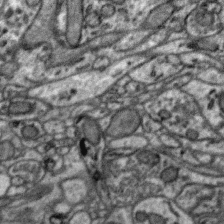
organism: Zebra finch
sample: Brain